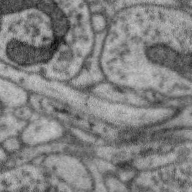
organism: Zebra finch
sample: Brain